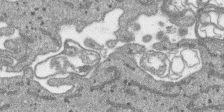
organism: Human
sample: Lung epithelial cells infected with SARS-CoV-2